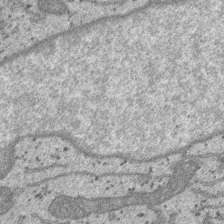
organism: Human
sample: Lung epithelial cells infected with SARS-CoV-2